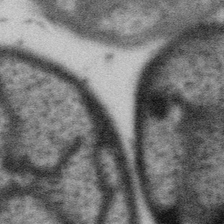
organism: Gemmata obscuriglobus